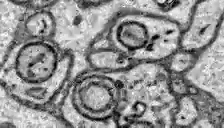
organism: Zebrafish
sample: Brain